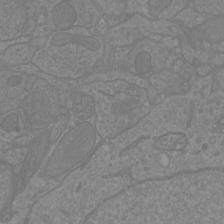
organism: Mouse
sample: Cortical neurons